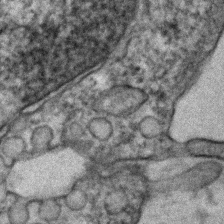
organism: Human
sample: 1205lu cells